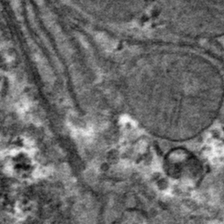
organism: Mouse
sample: Mouse hepatocytes